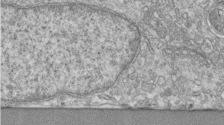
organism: Human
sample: Centriole in fibroblast cells